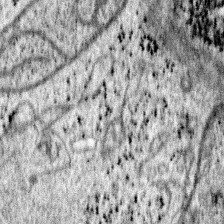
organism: Human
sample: HeLa cells